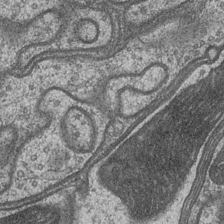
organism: Drosophila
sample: Optic medulla